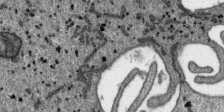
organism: Human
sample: Lung epithelial cells, uninfected (mock) control